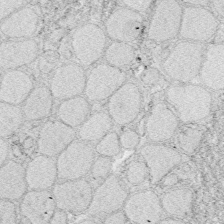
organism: Zebrafish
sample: Whole-Brain